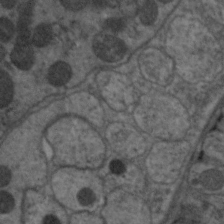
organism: C. elegans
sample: Pharynx